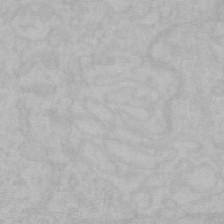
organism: Mouse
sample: Choroid plexus